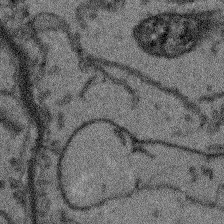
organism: Arabidopsis thaliana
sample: Root tip